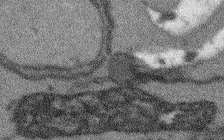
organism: Arabidopsis thaliana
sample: Root tip